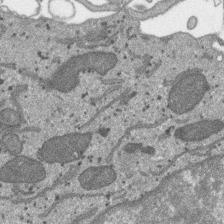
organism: Human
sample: Lung epithelial cells infected with SARS-CoV-2